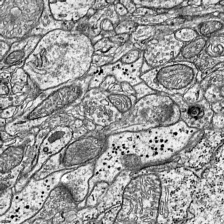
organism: Mouse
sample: Visual Cortex